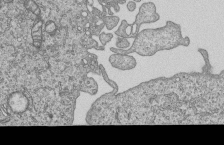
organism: Human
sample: MDA-MB-231 cells